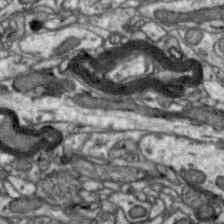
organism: Zebra finch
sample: Brain